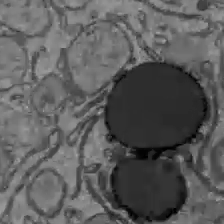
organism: C57BL Mouse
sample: Liver